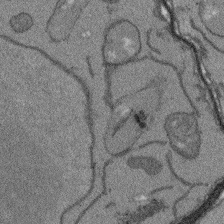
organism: Arabidopsis thaliana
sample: Root tip